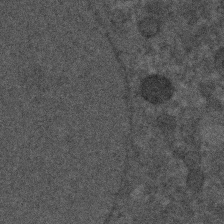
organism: C. elegans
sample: C. elegans embryo